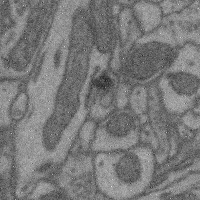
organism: Mouse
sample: Cerebral cortex